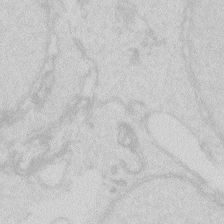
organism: Zebrafish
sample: Macrophage